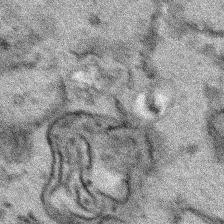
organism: Human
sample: Mitochondria in HCT116 cells